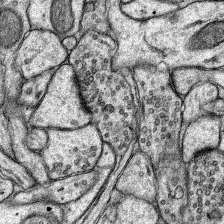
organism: Rat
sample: Hippocampus